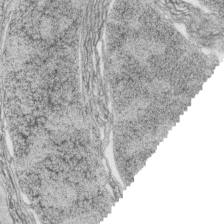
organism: Zebrafish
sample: synaptic ribbons in rod cells and cone cells